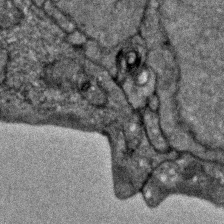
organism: Zebrafish